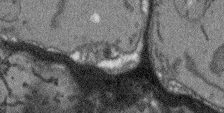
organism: Arabidopsis thaliana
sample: Root tip